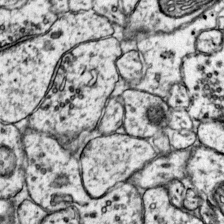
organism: Mouse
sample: Primary visual cortex